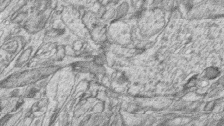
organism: Zebrafish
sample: synaptic ribbons in rod cells and cone cells